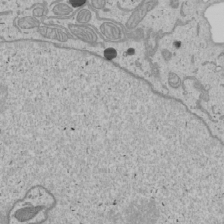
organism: Human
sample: Mitochondria in U2OS cells